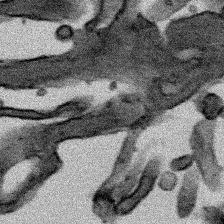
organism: Human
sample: Mitochondria in HCT116 cells